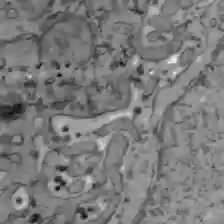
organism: C57BL Mouse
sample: Liver